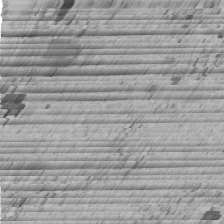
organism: C. elegans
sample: C. elegans embryo early stage